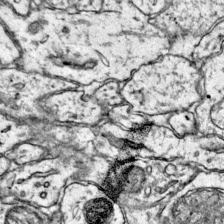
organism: Mouse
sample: Primary visual cortex